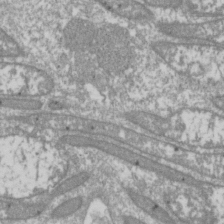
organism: Drosophila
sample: Cell division; meiosis; drosophila spermatocytes